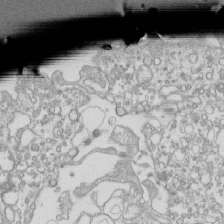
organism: Mouse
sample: Macrophages